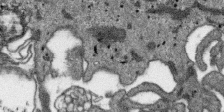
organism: Human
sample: Lung epithelial cells, uninfected (mock) control